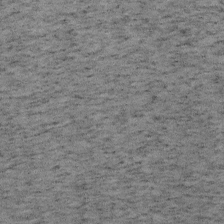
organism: Mouse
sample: OT-I killer T cells with ID8 ovarian cancer cells